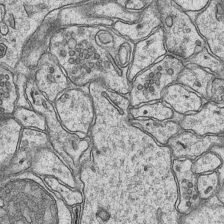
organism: Mouse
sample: CA1 Hippocampus